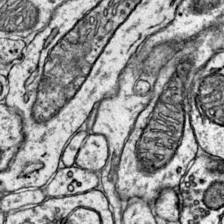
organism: Mouse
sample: Primary visual cortex